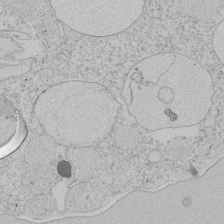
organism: Tetrahymena